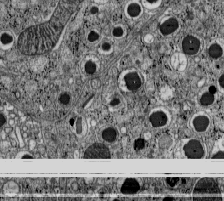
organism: C57BL Mouse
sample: Pancreatic islet